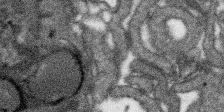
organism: Human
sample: Lung epithelial cells infected with SARS-CoV-2